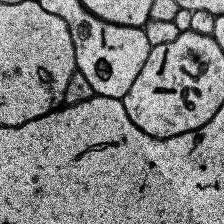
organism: Human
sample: Temporal Lobe